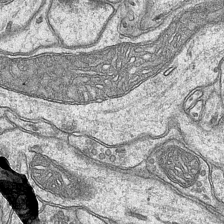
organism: Mouse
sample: CA1 Hippocampus